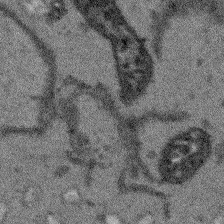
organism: Arabidopsis thaliana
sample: Root tip